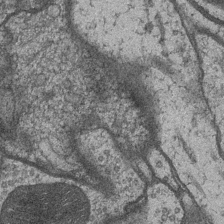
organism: Drosophila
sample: Optic medulla